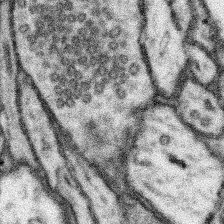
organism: Mouse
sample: Somatosensory cortex neuropil